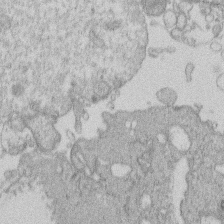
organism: Human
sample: Macrophage cells